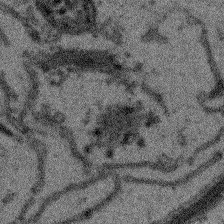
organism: Arabidopsis thaliana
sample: Root tip